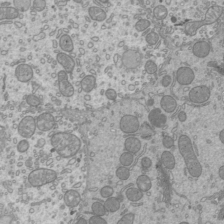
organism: Mouse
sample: Cilia; mouse epididymis